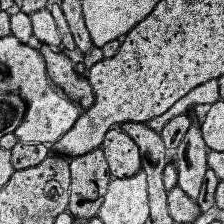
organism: Human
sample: Temporal Lobe